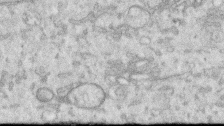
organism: Human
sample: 1205lu cells